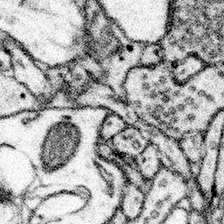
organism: Mouse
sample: Somatosensory cortex neuropil